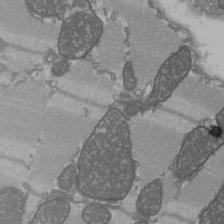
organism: C57BL Mouse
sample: Heart